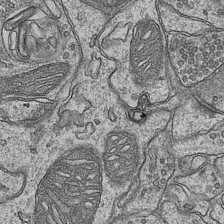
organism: Mouse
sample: CA1 Hippocampus